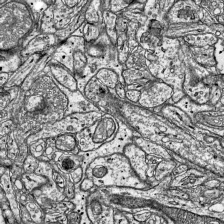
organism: Mouse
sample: Visual Cortex